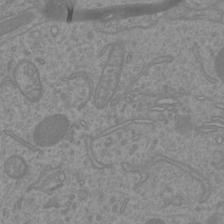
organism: Mouse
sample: Cortical neurons